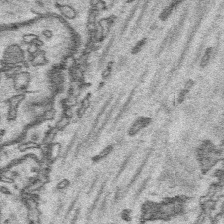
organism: Platynereis dumerilii